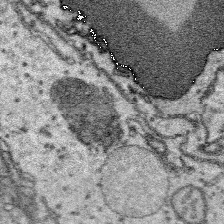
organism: Platynereis dumerilii